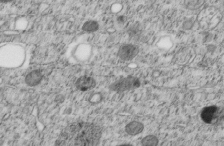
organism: C. elegans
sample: C. elegans embryo early stage